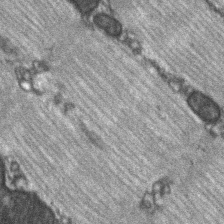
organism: C57BL Mouse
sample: Soleus